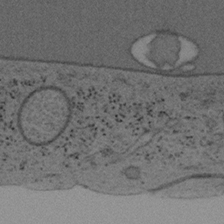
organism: Human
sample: HeLa cells